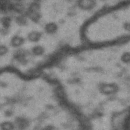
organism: Drosophila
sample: Brain